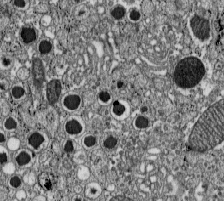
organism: C57BL Mouse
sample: Pancreatic islet